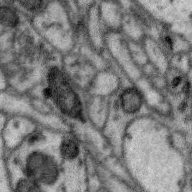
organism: Zebra finch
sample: Brain